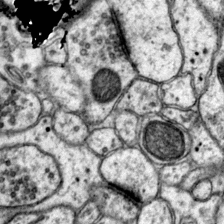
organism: Mouse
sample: Primary visual cortex